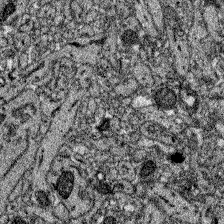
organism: Zebrafish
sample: Larval olfactory bulb